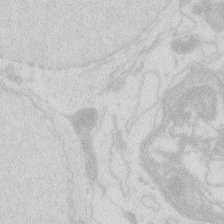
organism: Zebrafish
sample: Macrophage